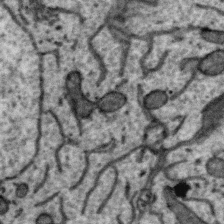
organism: Zebra finch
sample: Brain